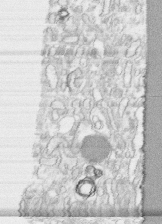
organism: Human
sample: CRL-1474